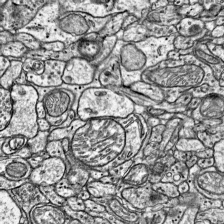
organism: Mouse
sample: Visual Cortex